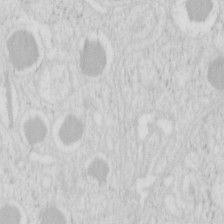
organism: Mouse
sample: Pancreas